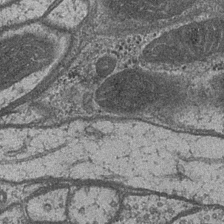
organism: Drosophila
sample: Optic medulla